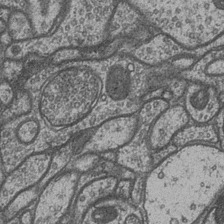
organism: Drosophila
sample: Optic medulla